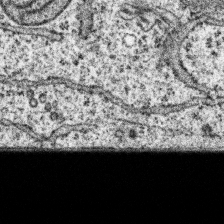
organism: Human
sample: HeLa cells